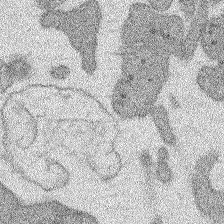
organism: Human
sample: HeLa cells